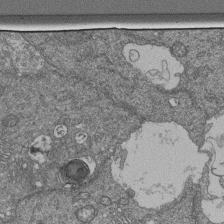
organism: Human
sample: Retinal organoid Rod and Cone cells